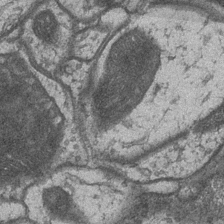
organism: Drosophila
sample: Optic medulla